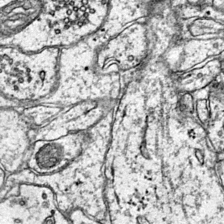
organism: Mouse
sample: Primary visual cortex